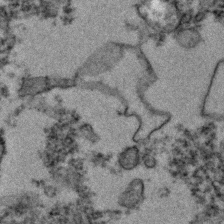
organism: Zebrafish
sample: Zebrafish embryo